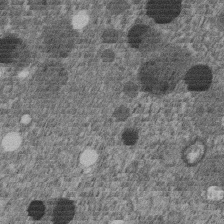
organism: C. elegans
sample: C. elegans embryo early stage